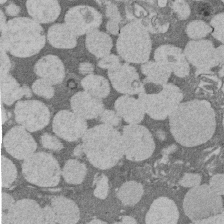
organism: Rat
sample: Salivary granule